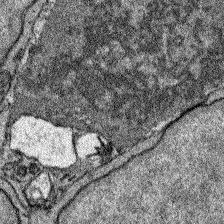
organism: Zebrafish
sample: Larval olfactory bulb